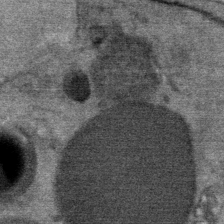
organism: Mouse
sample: Mouse Salivary gland